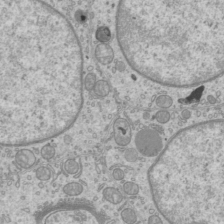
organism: Mouse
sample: Cilia; mouse epididymis